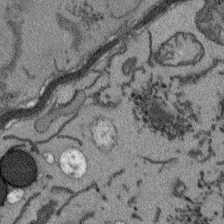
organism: Arabidopsis thaliana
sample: Root tip